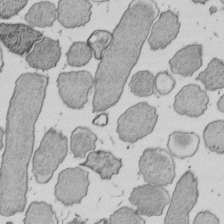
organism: E. coli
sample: Bacterial nucleoid